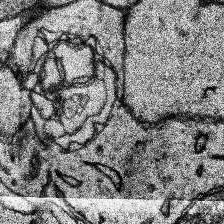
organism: Human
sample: Temporal Lobe